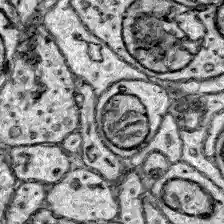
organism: Zebrafish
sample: Brain